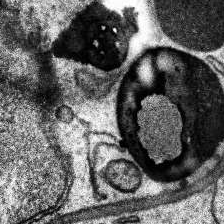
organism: Human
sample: Temporal Lobe